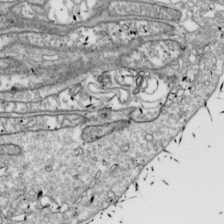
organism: Drosophila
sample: Cell division; meiosis; drosophila spermatocytes